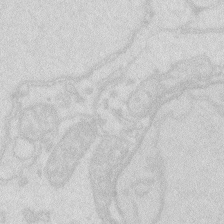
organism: Zebrafish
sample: Macrophage